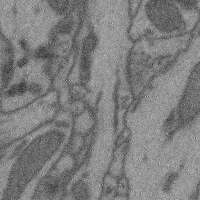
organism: Mouse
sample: Cerebral cortex